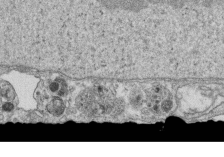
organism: Human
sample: HeLa cell HIV synapse